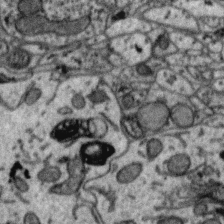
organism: Zebra finch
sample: Brain